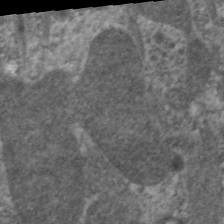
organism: C. elegans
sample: Pharynx